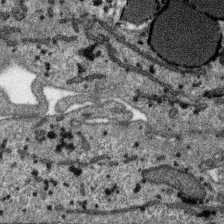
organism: Human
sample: Lung epithelial cells infected with SARS-CoV-2